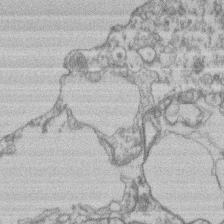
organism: Mouse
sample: T cell stromal cell synapse